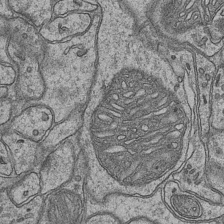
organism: Mouse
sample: CA1 Hippocampus